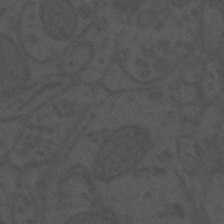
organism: Mouse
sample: Suprachiasmatic nucleus